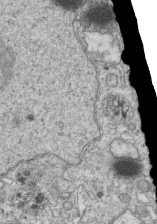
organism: Human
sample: HeLa cell HIV synapse